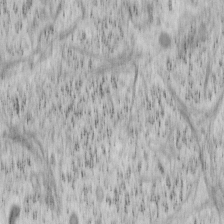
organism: Human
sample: HeLa cells